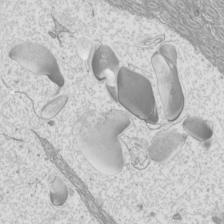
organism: Mouse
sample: Cilia; mouse epididymis